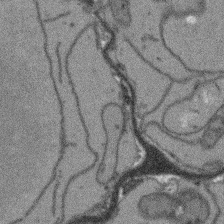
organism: Arabidopsis thaliana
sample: Root tip